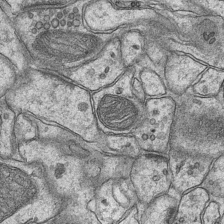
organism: Mouse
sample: CA1 Hippocampus